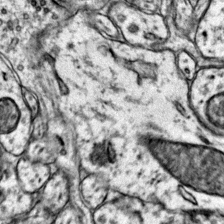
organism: Mouse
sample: Primary visual cortex